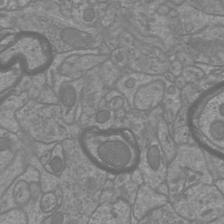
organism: Mouse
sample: Cortical neurons